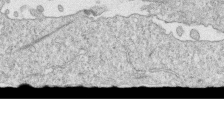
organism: Human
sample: HeLa cell HIV synapse